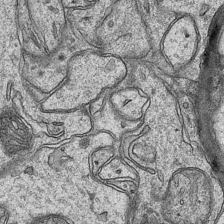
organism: Mouse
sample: CA1 Hippocampus